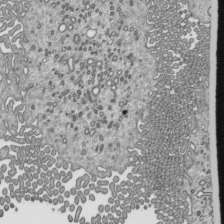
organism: Mouse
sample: Mouse epididymis efferent ductule cilia